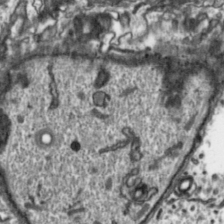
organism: Toxoplasma gondii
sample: Parasites in a vacuole inside a host cell